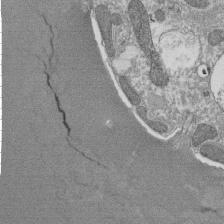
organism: Tetrahymena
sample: Cilia in tetrahymena